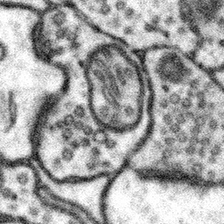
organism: Mouse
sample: Somatosensory cortex neuropil